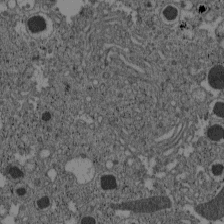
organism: C57BL Mouse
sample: Pancreatic islet